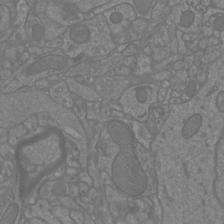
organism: Mouse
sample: Cortical neurons